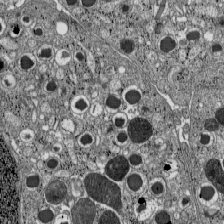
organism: C57BL Mouse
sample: Pancreatic islet